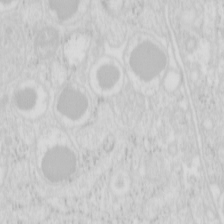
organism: Mouse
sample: Pancreas